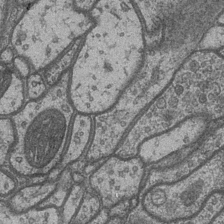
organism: Drosophila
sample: Optic medulla